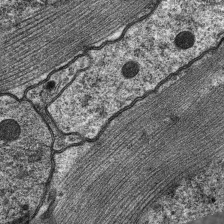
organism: C. elegans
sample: Pharynx